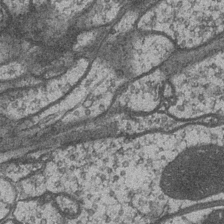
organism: Drosophila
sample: Optic medulla